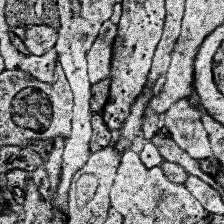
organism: Human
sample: Temporal Lobe